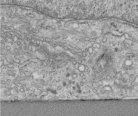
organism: Human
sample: Centriole in RPE cells